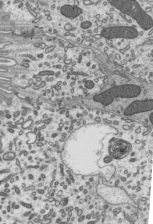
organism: Mouse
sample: Mouse epididymis efferent ductule cilia